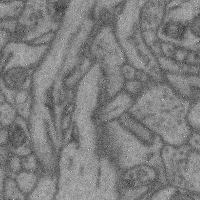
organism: Mouse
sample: Cerebral cortex